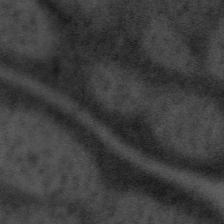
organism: Tuwongella immobilis